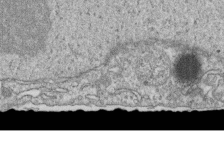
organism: Human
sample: HeLa cell HIV synapse